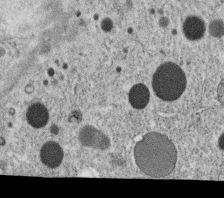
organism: C. elegans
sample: C. elegans oocyte; sperm cells